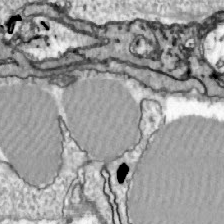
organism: Zebrafish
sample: Actinotrichia fibers